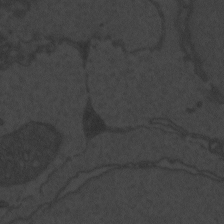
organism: Zebrafish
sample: Macrophage infected with Toxoplasma gondii